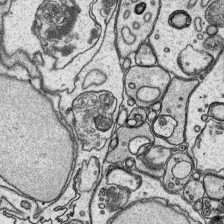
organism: Platynereis dumerilii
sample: Parapodia